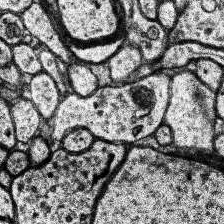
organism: Human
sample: Temporal Lobe